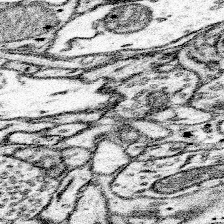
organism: Mouse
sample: Somatosensory cortex neuropil